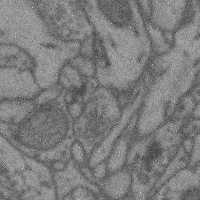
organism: Mouse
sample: Cerebral cortex